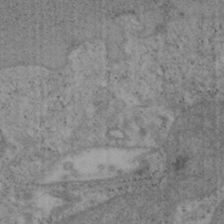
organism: Mouse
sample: OT-I killer T cells with ID8 ovarian cancer cells